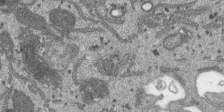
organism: Human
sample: Lung epithelial cells infected with SARS-CoV-2